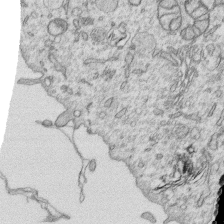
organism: Human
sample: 1205lu cells